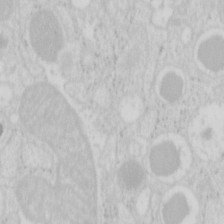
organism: Mouse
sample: Pancreas